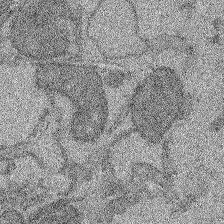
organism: Human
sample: HeLa cells